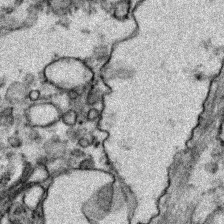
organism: Zebrafish